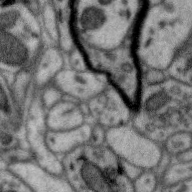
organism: Zebra finch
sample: Brain